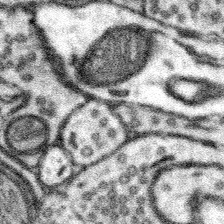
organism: Mouse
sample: Somatosensory cortex neuropil